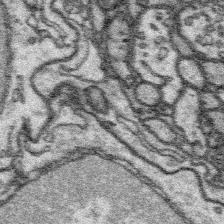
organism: Platynereis dumerilii